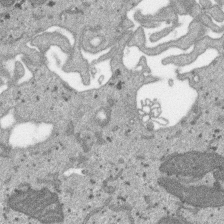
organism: Human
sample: Lung epithelial cells infected with SARS-CoV-2